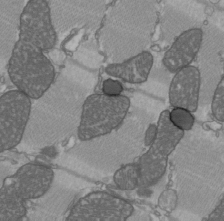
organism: C57BL Mouse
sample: Heart